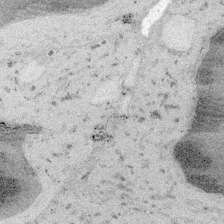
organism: Embia sp.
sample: Silk gland